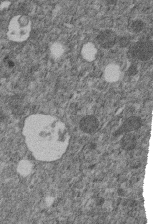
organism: C. elegans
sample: C. elegans embryo early stage